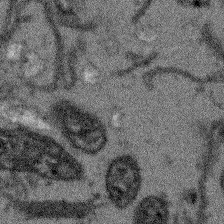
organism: Arabidopsis thaliana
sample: Root tip